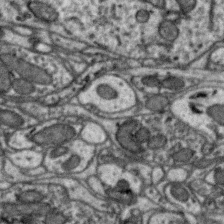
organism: Zebra finch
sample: Brain